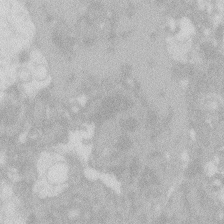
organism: Zebrafish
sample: Macrophage